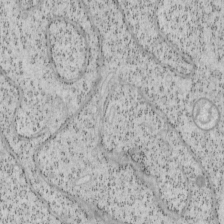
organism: Mouse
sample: OT-I killer T cells with ID8 ovarian cancer cells